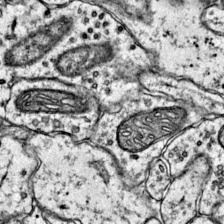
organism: Mouse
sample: Primary visual cortex